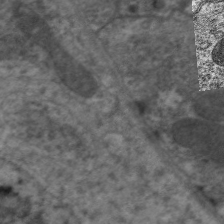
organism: C. elegans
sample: Pharynx